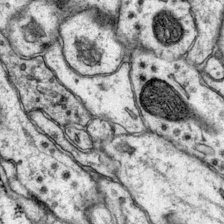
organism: Mouse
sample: Primary visual cortex